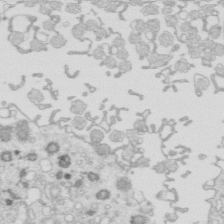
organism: Mouse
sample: Multiciliated cells